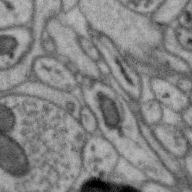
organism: Zebra finch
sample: Brain